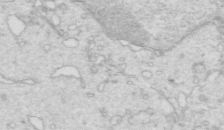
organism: Mouse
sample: Multiciliated cells